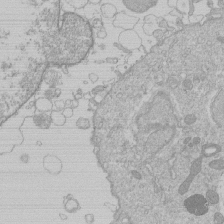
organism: Human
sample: Macrophage cells